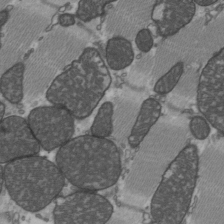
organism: C57BL Mouse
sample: Heart